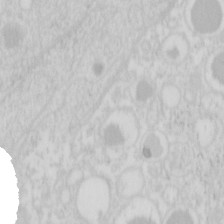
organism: Mouse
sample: Pancreas